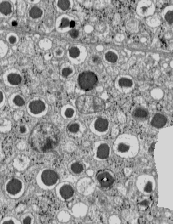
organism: C57BL Mouse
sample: Pancreatic islet